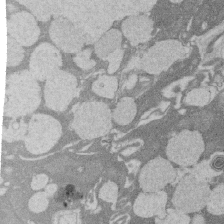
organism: Rat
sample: Salivary granule